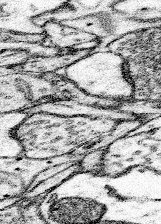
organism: Mouse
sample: Somatosensory cortex neuropil